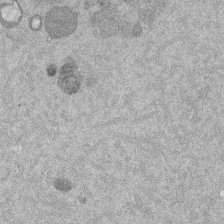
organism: Mouse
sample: Dividing mouse embryo 1 cell stage